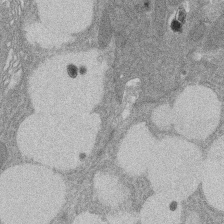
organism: Rat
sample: Salivary granule